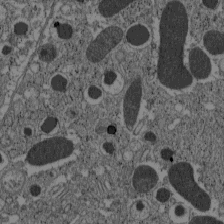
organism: C57BL Mouse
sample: Pancreatic islet